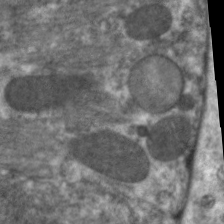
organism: C. elegans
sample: Pharynx